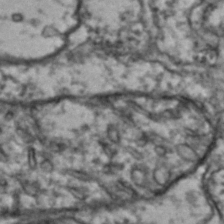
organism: Drosophila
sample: Brain